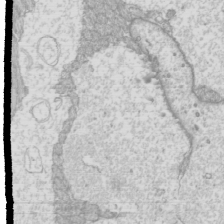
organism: Mouse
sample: Cilia; mouse epididymis